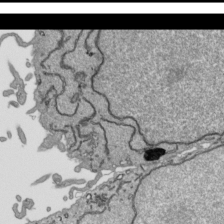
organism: Human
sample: Mitochondria in HCT116 cells